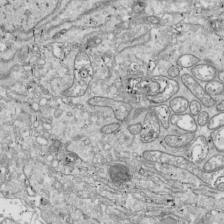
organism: Drosophila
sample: Cell division; meiosis; drosophila spermatocytes